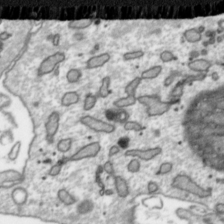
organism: Toxoplasma gondii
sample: Parasites in a vacuole inside a host cell